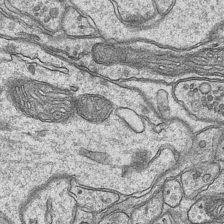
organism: Mouse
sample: CA1 Hippocampus